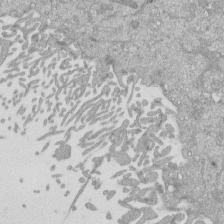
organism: Mouse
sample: ED-1 cell nuclei; centrioles